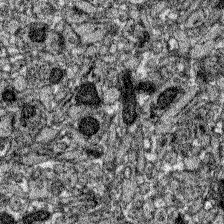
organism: Zebrafish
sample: Larval olfactory bulb